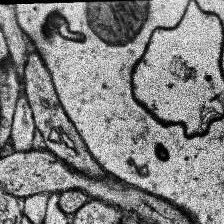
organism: Human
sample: Temporal Lobe